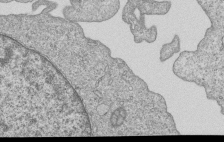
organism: Human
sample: MDA-MB-231 cells